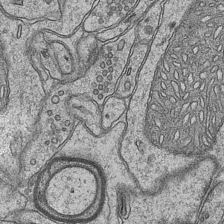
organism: Mouse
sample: CA1 Hippocampus